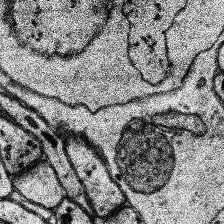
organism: Human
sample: Temporal Lobe